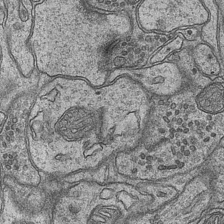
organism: Mouse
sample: CA1 Hippocampus